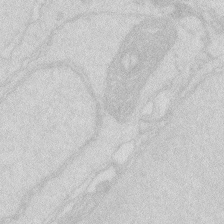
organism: Zebrafish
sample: Macrophage